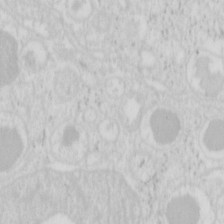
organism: Mouse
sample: Pancreas